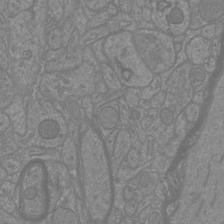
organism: Mouse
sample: Cortical neurons